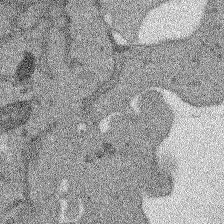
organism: Human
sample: HeLa cells